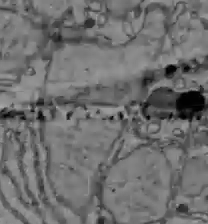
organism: C57BL Mouse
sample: Liver